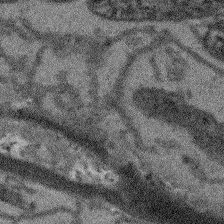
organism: Arabidopsis thaliana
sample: Root tip